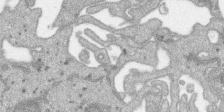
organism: Human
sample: Lung epithelial cells infected with SARS-CoV-2